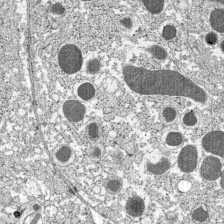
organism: C57BL Mouse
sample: Pancreatic islet